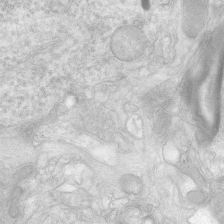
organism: Human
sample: Neocortex